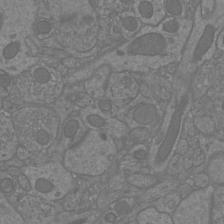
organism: Mouse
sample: Cortical neurons